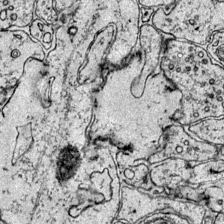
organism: Mouse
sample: Primary visual cortex